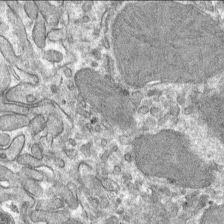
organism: Mouse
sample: Mouse hepatocytes